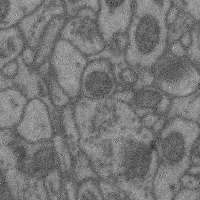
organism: Mouse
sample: Cerebral cortex